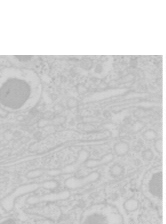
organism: Mouse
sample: Pancreas